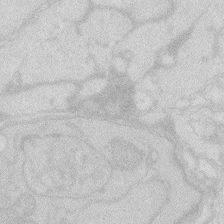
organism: Zebrafish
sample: Macrophage